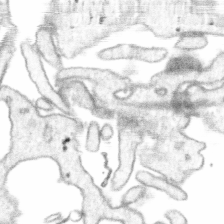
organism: Human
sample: HeLa cells